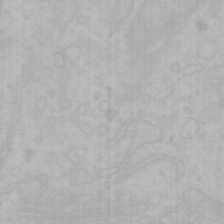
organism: Mouse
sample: Choroid plexus